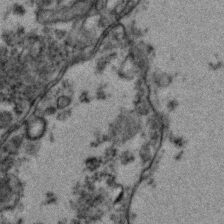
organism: Zebrafish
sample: Zebrafish embryo